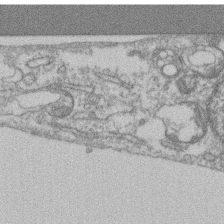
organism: Mouse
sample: T cell stromal cell synapse